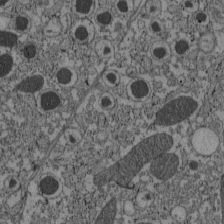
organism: C57BL Mouse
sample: Pancreatic islet